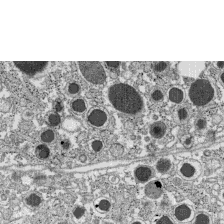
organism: C57BL Mouse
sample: Pancreatic islet